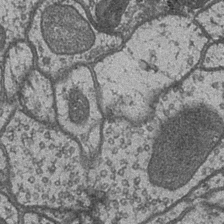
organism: Drosophila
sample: Optic medulla